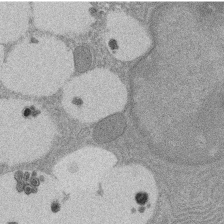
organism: Rat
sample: Salivary granule